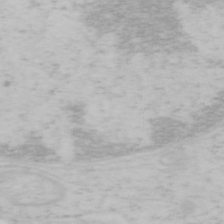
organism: Mouse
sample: OT-I killer T cells with ID8 ovarian cancer cells